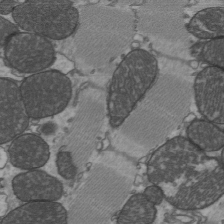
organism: C57BL Mouse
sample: Heart